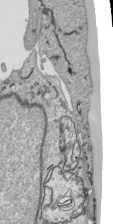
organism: Human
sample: Mitochondria in HCT116 cells